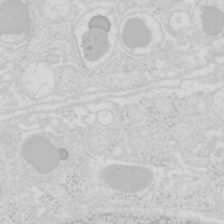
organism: Mouse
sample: Pancreas